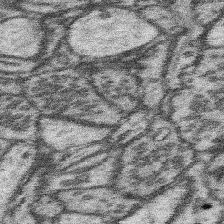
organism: Mouse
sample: Somatosensory cortex neuropil